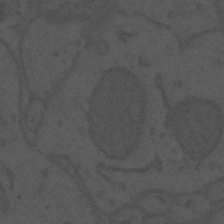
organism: Mouse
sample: Suprachiasmatic nucleus